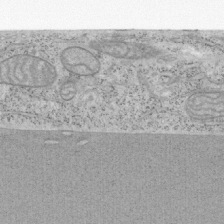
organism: Human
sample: HeLa cells